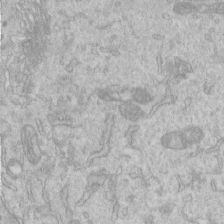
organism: Human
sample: Centriole in RPE cells